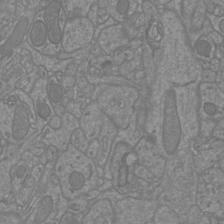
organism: Mouse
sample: Cortical neurons